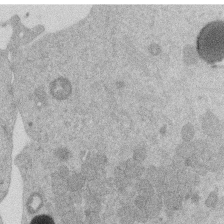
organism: Mouse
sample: Dividing mouse embryo 1 cell stage